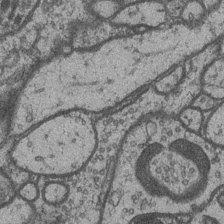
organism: Drosophila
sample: Optic medulla